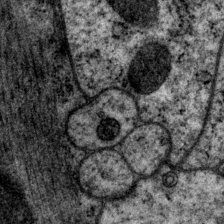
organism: P. pacificus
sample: Pharynx